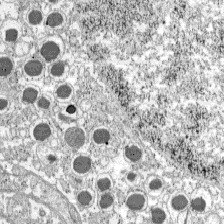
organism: C57BL Mouse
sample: Pancreatic islet